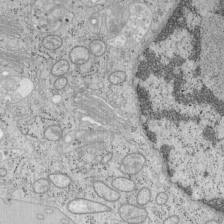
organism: Mouse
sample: OT-I killer T cells with ID8 ovarian cancer cells